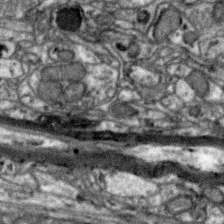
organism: Zebra finch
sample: Brain